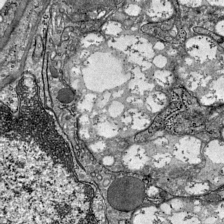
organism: Mouse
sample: Visual Cortex